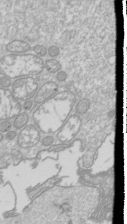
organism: Drosophila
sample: Cell division; meiosis; drosophila spermatocytes